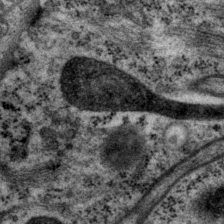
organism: P. pacificus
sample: Pharynx